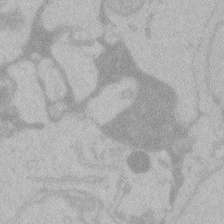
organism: Zebrafish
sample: Macrophage infected with Toxoplasma gondii